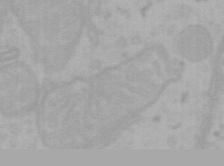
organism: Mouse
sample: Choroid plexus